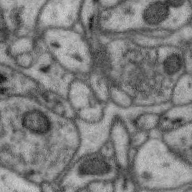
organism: Zebra finch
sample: Brain